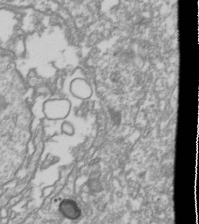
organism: Drosophila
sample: Cell division; meiosis; drosophila spermatocytes